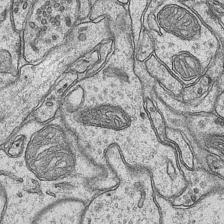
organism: Mouse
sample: CA1 Hippocampus